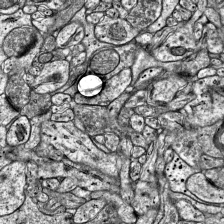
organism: Mouse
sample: Visual Cortex